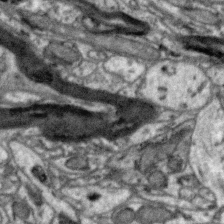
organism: Zebra finch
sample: Brain